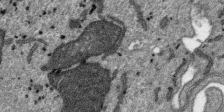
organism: Human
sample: Lung epithelial cells, uninfected (mock) control